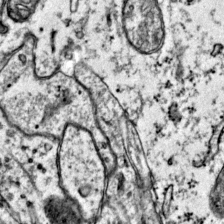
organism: Mouse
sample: Primary visual cortex